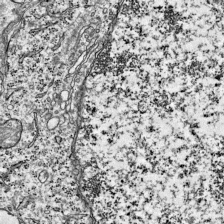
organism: Mouse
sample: Visual Cortex